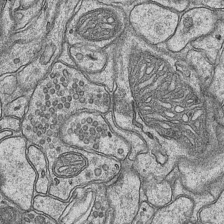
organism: Mouse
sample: CA1 Hippocampus